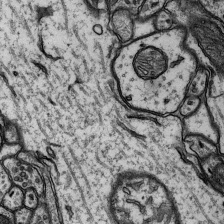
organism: Rat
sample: Hippocampus